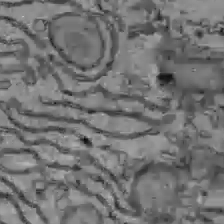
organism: C57BL Mouse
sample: Liver